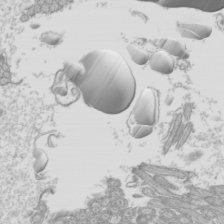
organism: Mouse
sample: Cilia; mouse epididymis